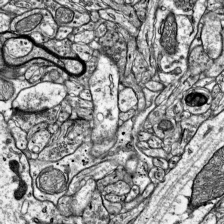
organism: Mouse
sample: Visual Cortex